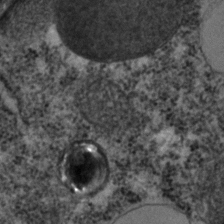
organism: C. elegans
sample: C. elegans embryo